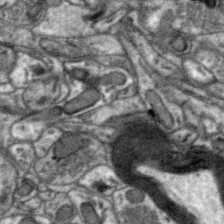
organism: Zebra finch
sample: Brain